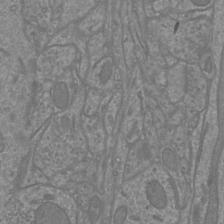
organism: Mouse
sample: Cortical neurons